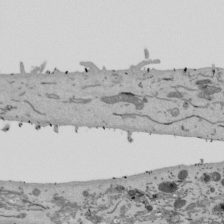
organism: Mouse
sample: ED-1 cell nuclei; centrioles